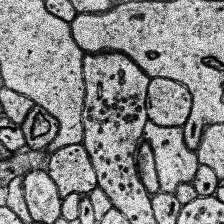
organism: Human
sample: Temporal Lobe